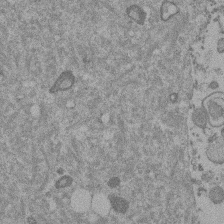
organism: Mouse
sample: Dividing mouse embryo 1 cell stage